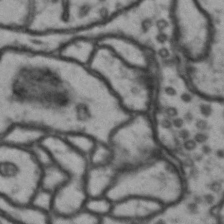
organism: Drosophila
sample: Brain